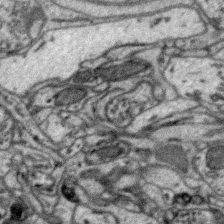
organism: Zebra finch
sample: Brain